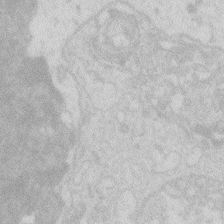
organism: Zebrafish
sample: Macrophage